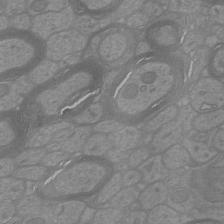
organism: Mouse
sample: Cortical neurons